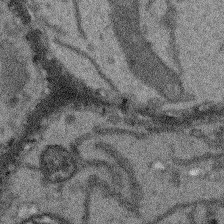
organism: Arabidopsis thaliana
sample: Root tip